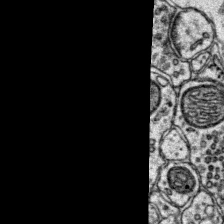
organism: Mouse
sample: Primary visual cortex